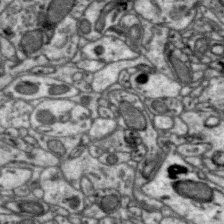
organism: Zebra finch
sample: Brain